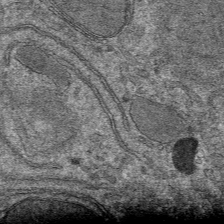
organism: Mouse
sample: Mouse hepatocytes